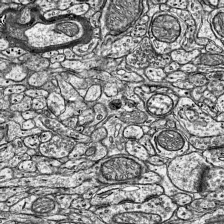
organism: Mouse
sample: Visual Cortex